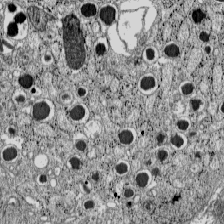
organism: C57BL Mouse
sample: Pancreatic islet